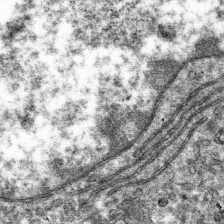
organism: Mouse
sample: Mouse hepatocytes